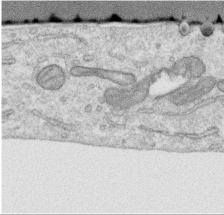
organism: Human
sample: Centriole in RPE cells